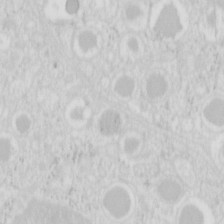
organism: Mouse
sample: Pancreas